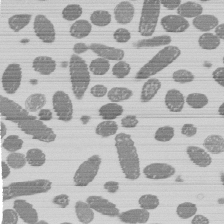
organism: E. coli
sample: Bacterial nucleoid